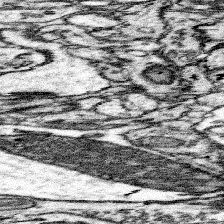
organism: Mouse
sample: Somatosensory cortex neuropil